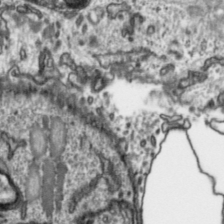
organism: Toxoplasma gondii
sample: Parasites in a vacuole inside a host cell